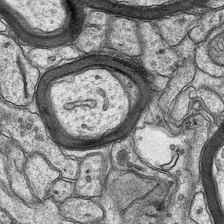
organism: Mouse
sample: CA1 Hippocampus